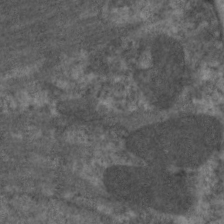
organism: C. elegans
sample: Pharynx